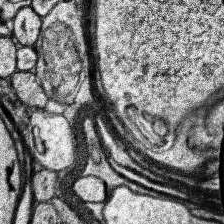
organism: Human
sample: Temporal Lobe